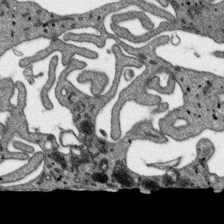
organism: Human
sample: Lung epithelial cells, uninfected (mock) control